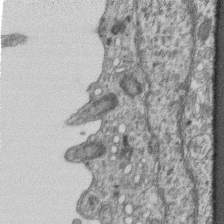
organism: Mouse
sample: Centriole in ependymal cells